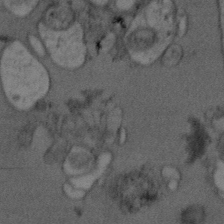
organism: Human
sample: HeLa cells